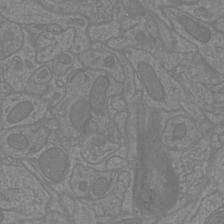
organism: Mouse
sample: Cortical neurons